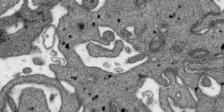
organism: Human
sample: Lung epithelial cells, uninfected (mock) control